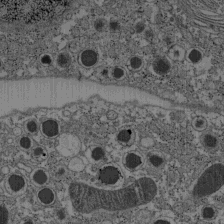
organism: C57BL Mouse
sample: Pancreatic islet